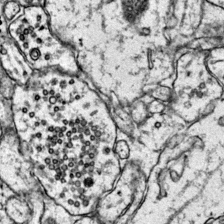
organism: Mouse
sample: Primary visual cortex